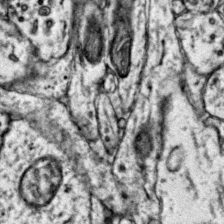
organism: Mouse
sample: Primary visual cortex